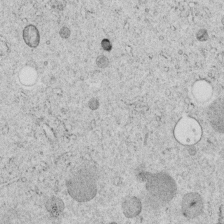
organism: C. elegans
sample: C. elegans embryo early stage